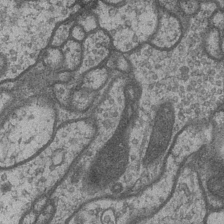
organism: Drosophila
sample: Optic medulla